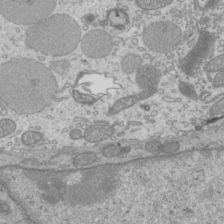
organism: Mouse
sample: Cilia; mouse epididymis